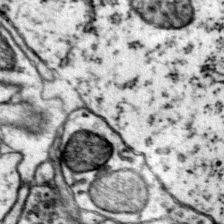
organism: Mouse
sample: Primary visual cortex